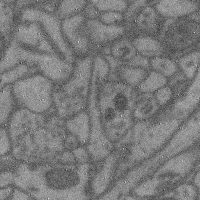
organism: Mouse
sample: Cerebral cortex